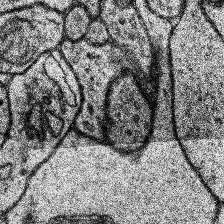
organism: Human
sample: Temporal Lobe